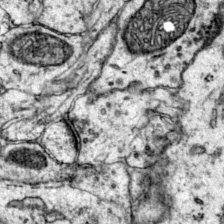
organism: Mouse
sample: Primary visual cortex